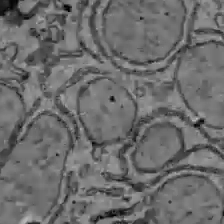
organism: C57BL Mouse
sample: Liver